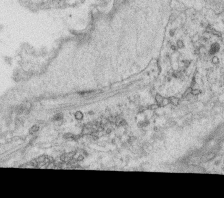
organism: C. elegans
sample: C. elegans oocyte; sperm cells